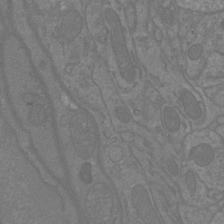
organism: Mouse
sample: Cortical neurons